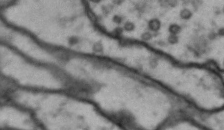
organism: Drosophila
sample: Brain